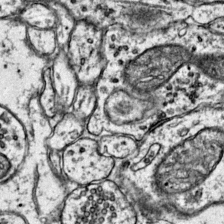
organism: Mouse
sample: Primary visual cortex